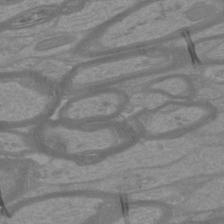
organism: Mouse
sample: Cortical neurons